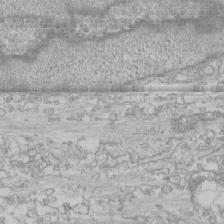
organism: Human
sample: CRL-1474